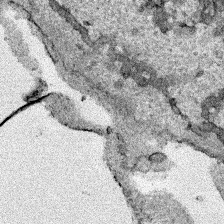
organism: Human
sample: Mitochondria in HCT116 cells